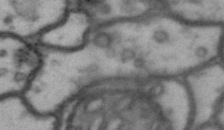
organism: Drosophila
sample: Brain